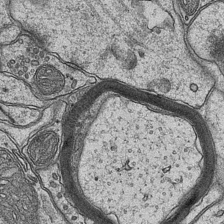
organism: Mouse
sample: CA1 Hippocampus